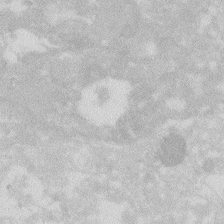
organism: Zebrafish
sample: Macrophage